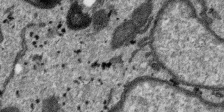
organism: Human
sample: Lung epithelial cells, uninfected (mock) control